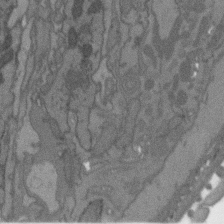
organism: C. elegans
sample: AFD neurons C. elegans